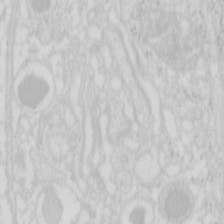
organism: Mouse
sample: Pancreas